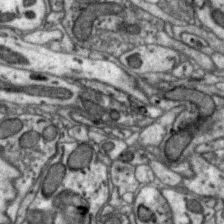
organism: Zebra finch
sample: Brain